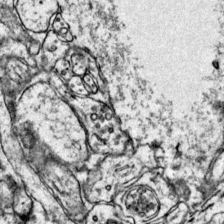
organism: Mouse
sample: Primary visual cortex